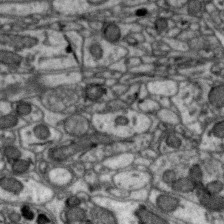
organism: Zebra finch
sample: Brain